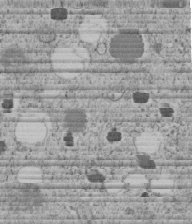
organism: C. elegans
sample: C. elegans embryo early stage